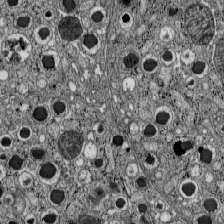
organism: C57BL Mouse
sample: Pancreatic islet